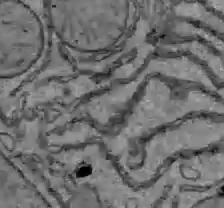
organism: C57BL Mouse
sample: Liver